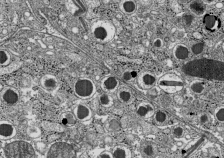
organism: C57BL Mouse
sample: Pancreatic islet